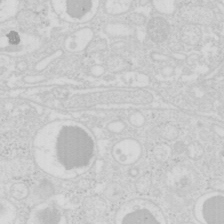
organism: Mouse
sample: Pancreas